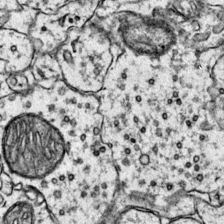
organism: Mouse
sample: Primary visual cortex